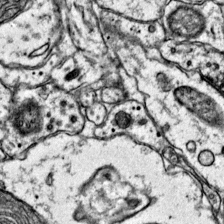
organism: Mouse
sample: Primary visual cortex